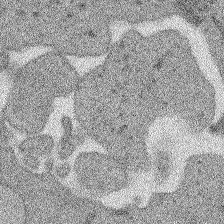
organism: Human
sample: HeLa cells